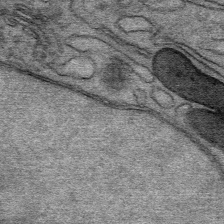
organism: Mouse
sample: Mouse Salivary gland